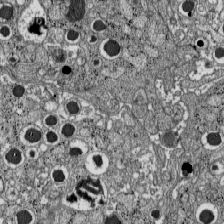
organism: C57BL Mouse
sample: Pancreatic islet